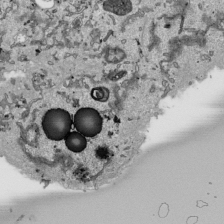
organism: Human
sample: Mitochondria in HCT116 cells